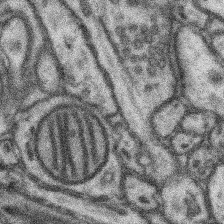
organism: Mouse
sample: Somatosensory cortex neuropil